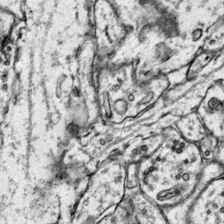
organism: Mouse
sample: Primary visual cortex